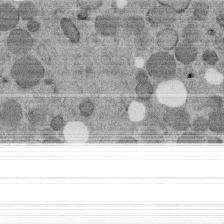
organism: C. elegans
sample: C. elegans embryo early stage